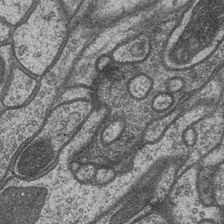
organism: Drosophila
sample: Optic medulla